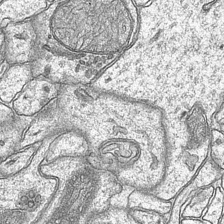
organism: Mouse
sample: CA1 Hippocampus